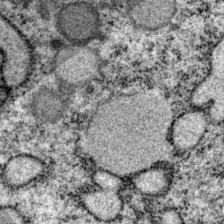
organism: P. pacificus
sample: Pharynx